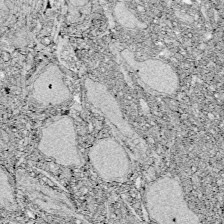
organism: Zebrafish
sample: Whole-Brain